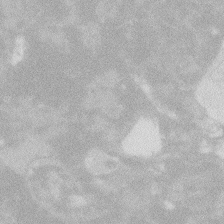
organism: Zebrafish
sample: Macrophage